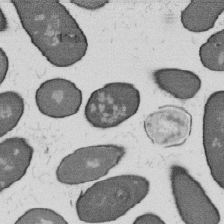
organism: B. subtilis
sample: Bacterial spore